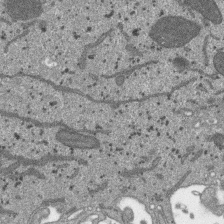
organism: Human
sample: Lung epithelial cells infected with SARS-CoV-2